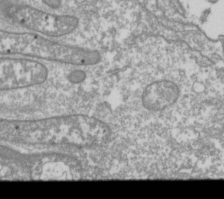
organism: Drosophila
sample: Cell division; meiosis; drosophila spermatocytes